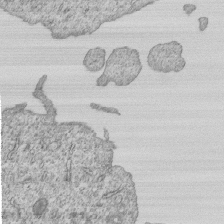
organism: Human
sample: MDA-MB-231 cells